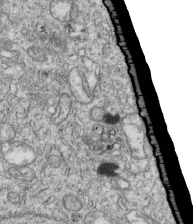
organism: Human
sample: HeLa cell HIV synapse